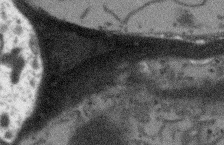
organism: Arabidopsis thaliana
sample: Root tip